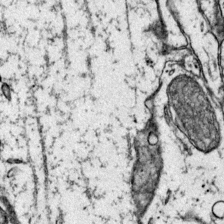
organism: Mouse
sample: Primary visual cortex